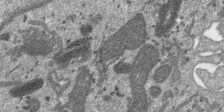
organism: Human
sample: Lung epithelial cells infected with SARS-CoV-2